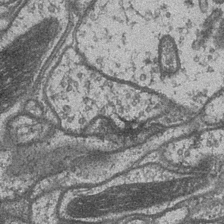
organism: Drosophila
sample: Optic medulla